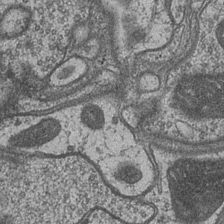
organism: Drosophila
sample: Optic medulla